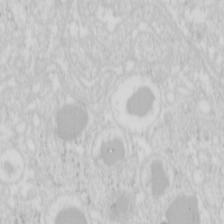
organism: Mouse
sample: Pancreas